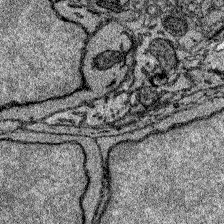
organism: Zebrafish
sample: Larval olfactory bulb